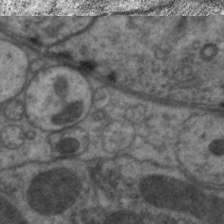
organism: C. elegans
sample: Pharynx